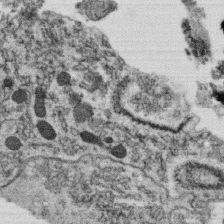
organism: C. elegans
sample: C. elegans oocyte; sperm cells